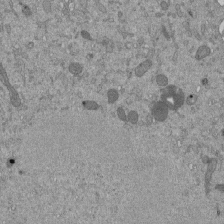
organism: Mouse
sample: ED-1 cell nuclei; centrioles